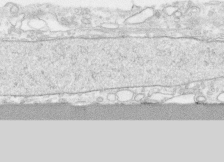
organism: Human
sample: CRL-1474